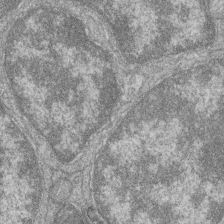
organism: Zebrafish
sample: Cilia; retinal pigment epithelium